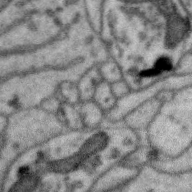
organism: Zebra finch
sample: Brain